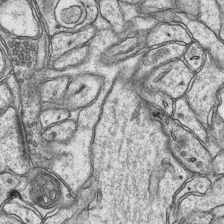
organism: Mouse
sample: CA1 Hippocampus